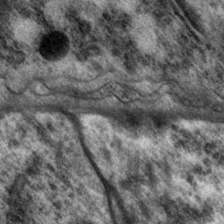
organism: P. pacificus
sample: Pharynx